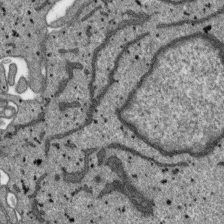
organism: Human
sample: Lung epithelial cells, uninfected (mock) control